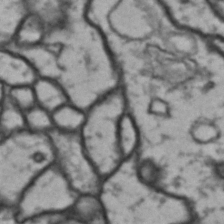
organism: Drosophila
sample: Brain